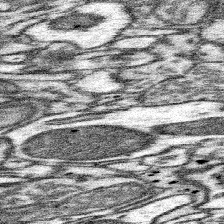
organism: Mouse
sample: Somatosensory cortex neuropil